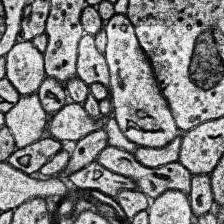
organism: Human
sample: Temporal Lobe